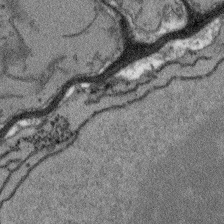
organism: Arabidopsis thaliana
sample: Root tip